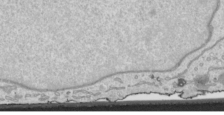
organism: Human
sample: Mitochondria in HCT116 cells